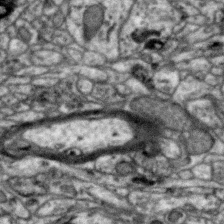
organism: Zebra finch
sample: Brain